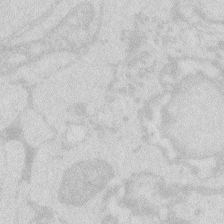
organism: Zebrafish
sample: Macrophage